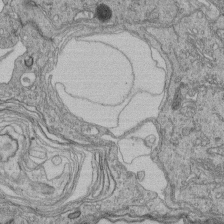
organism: Human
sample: Retinal organoid Rod and Cone cells